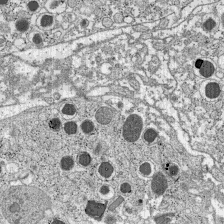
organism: C57BL Mouse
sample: Pancreatic islet